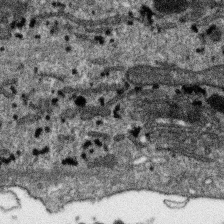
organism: Human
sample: Lung epithelial cells infected with SARS-CoV-2